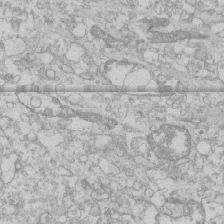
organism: Human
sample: CRL-1474